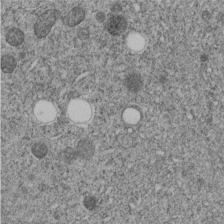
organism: C. elegans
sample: C. elegans embryo early stage